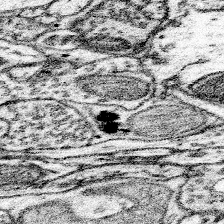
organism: Mouse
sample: Somatosensory cortex neuropil